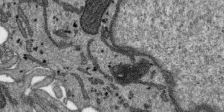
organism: Human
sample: Lung epithelial cells, uninfected (mock) control